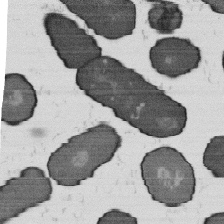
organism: B. subtilis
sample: Bacterial spore